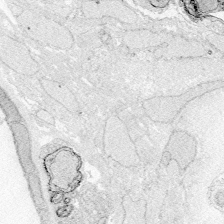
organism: Zebrafish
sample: Whole-Brain